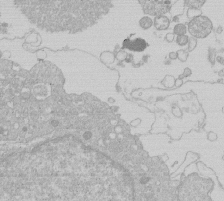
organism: Human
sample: Macrophage cells